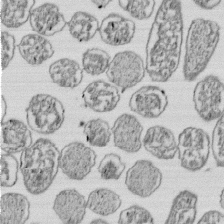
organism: E. coli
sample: Bacterial nucleoid